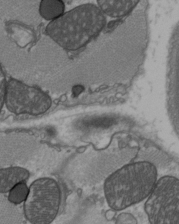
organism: C57BL Mouse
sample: Heart